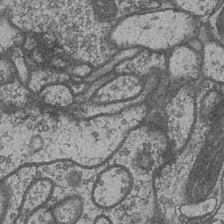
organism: Drosophila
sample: Optic medulla